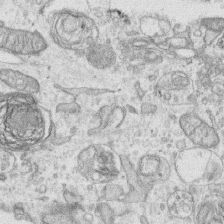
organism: Human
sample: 1205lu cells